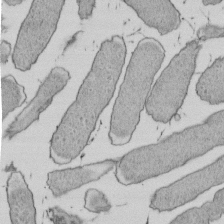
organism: E. coli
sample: Bacterial nucleoid